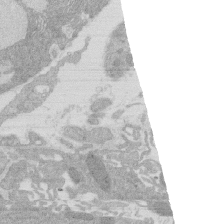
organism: Rat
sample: Salivary granule